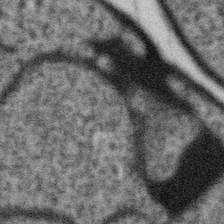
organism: Gemmata obscuriglobus